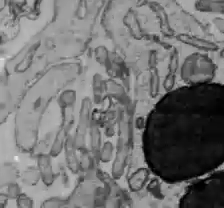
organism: C57BL Mouse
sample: Liver